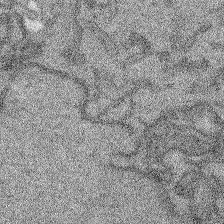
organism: Human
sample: HeLa cells